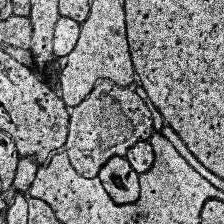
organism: Human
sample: Temporal Lobe